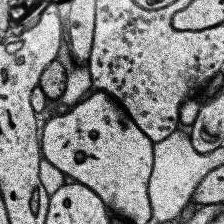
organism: Human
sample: Temporal Lobe